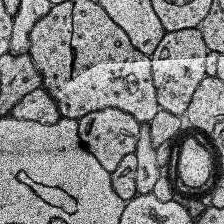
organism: Human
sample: Temporal Lobe